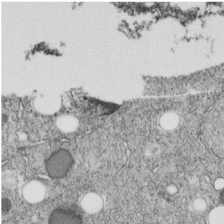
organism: C. elegans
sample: C. elegans embryo early stage